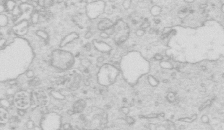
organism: Mouse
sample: Multiciliated cells